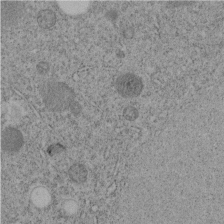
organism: C. elegans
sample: C. elegans embryo early stage